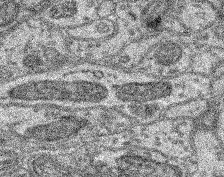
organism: Mouse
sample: Retina